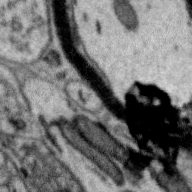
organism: Zebra finch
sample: Brain